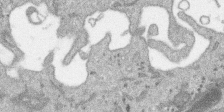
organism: Human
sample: Lung epithelial cells infected with SARS-CoV-2